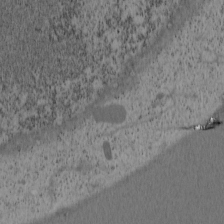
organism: African green monkey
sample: COS-7 cells